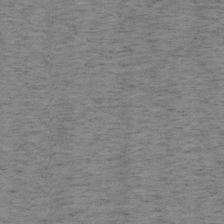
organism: Mouse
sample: OT-I killer T cells with ID8 ovarian cancer cells